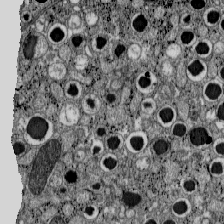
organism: C57BL Mouse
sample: Pancreatic islet